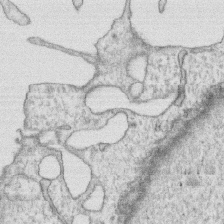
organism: Human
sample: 1205lu cells